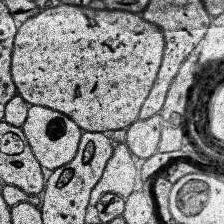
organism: Human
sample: Temporal Lobe